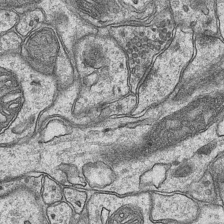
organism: Mouse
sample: CA1 Hippocampus